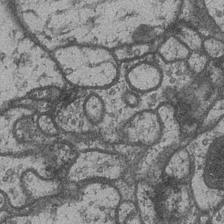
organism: Drosophila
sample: Optic medulla